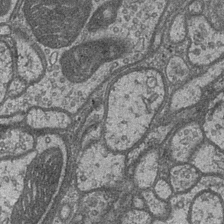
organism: Drosophila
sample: Optic medulla